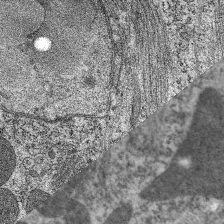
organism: C. elegans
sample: Pharynx